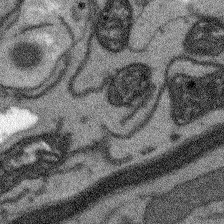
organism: Arabidopsis thaliana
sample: Root tip